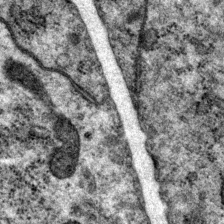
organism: P. pacificus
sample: Pharynx